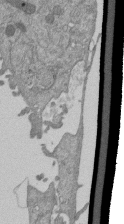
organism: Mouse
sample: ED-1 cell nuclei; centrioles